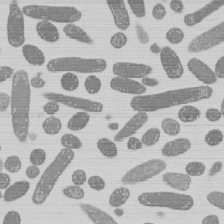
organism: E. coli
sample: Bacterial nucleoid